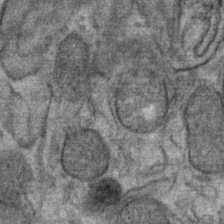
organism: Mouse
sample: Mouse Salivary gland